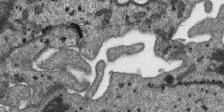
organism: Human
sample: Lung epithelial cells infected with SARS-CoV-2